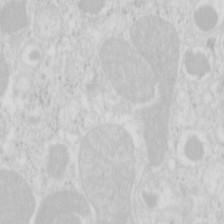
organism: Mouse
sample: Pancreas